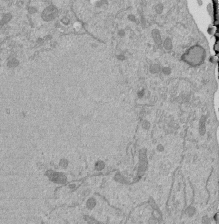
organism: Mouse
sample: ED-1 cell nuclei; centrioles